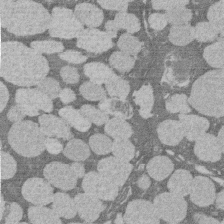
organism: Rat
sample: Salivary granule